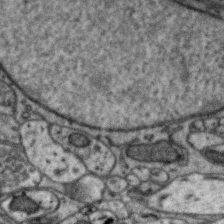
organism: Zebra finch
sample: Brain